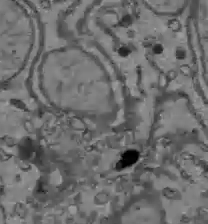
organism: C57BL Mouse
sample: Liver